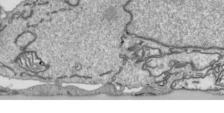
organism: Human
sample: Mitochondria in HCT116 cells